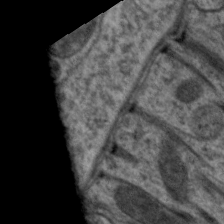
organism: C. elegans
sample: Pharynx